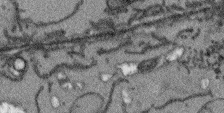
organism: Arabidopsis thaliana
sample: Root tip